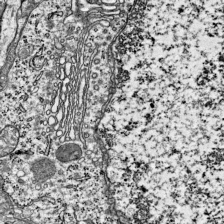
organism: Mouse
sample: Visual Cortex